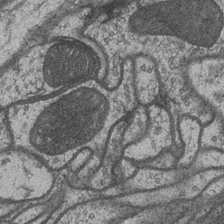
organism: Drosophila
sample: Optic medulla